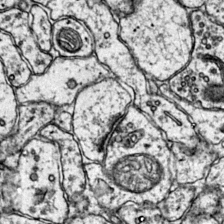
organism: Mouse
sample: Primary visual cortex